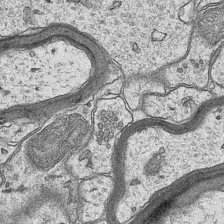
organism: Mouse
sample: CA1 Hippocampus